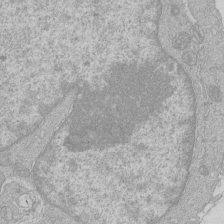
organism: Human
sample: Macrophage cells